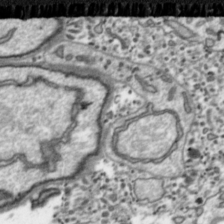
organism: Toxoplasma gondii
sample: Parasites in a vacuole inside a host cell